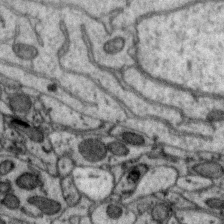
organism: Zebra finch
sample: Brain